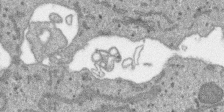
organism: Human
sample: Lung epithelial cells infected with SARS-CoV-2